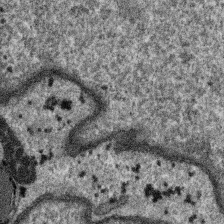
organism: Human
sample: Lung epithelial cells infected with SARS-CoV-2